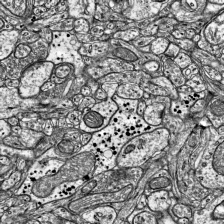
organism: Mouse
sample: Visual Cortex